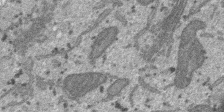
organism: Human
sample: Lung epithelial cells infected with SARS-CoV-2